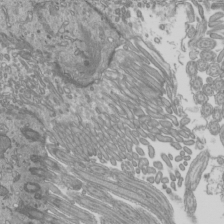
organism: Mouse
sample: Cilia; mouse epididymis